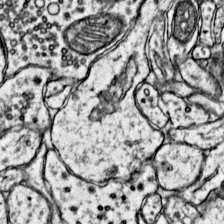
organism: Mouse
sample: Primary visual cortex